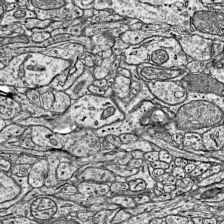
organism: Mouse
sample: Visual Cortex